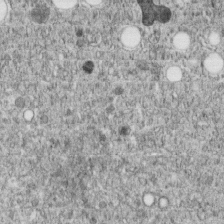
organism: C. elegans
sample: C. elegans embryo early stage